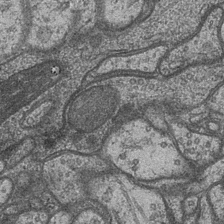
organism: Drosophila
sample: Optic medulla